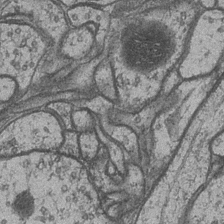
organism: Drosophila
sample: Optic medulla